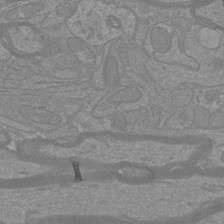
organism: Mouse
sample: Cortical neurons